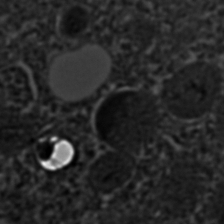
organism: C. elegans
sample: C. elegans embryo